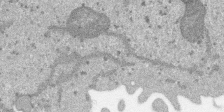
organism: Human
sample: Lung epithelial cells infected with SARS-CoV-2